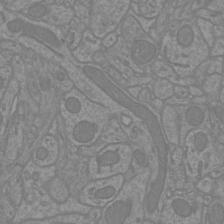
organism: Mouse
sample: Cortical neurons